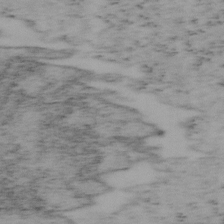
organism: Mouse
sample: OT-I killer T cells with ID8 ovarian cancer cells